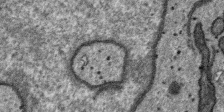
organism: Human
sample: Lung epithelial cells, uninfected (mock) control